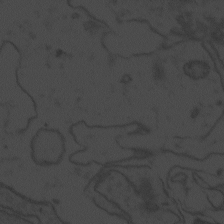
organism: Zebrafish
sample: Macrophage infected with Toxoplasma gondii